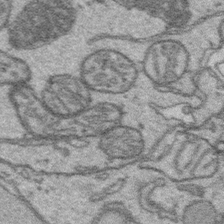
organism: Platynereis dumerilii